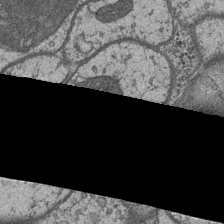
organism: Drosophila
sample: Optic medulla